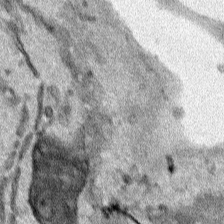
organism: Human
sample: Mitochondria in HCT116 cells